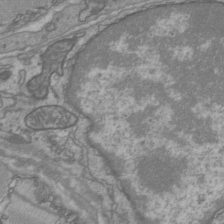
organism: C57BL Mouse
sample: Heart